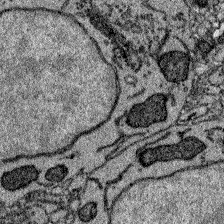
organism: Zebrafish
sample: Larval olfactory bulb